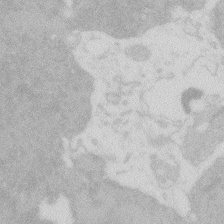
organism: Zebrafish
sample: Macrophage